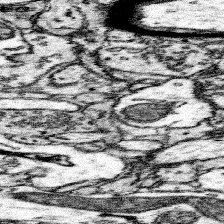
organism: Mouse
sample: Somatosensory cortex neuropil